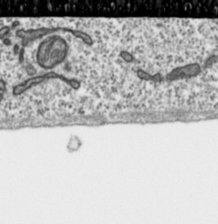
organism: Toxoplasma gondii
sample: Parasites in a vacuole inside a host cell